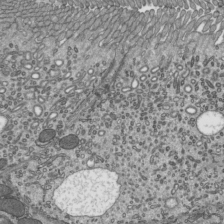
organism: Mouse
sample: Mouse epididymis efferent ductule cilia